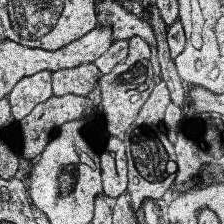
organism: Human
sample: Temporal Lobe